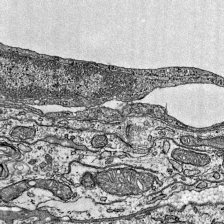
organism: Mouse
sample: Visual Cortex